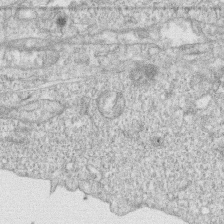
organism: Human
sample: HeLa cell HIV synapse